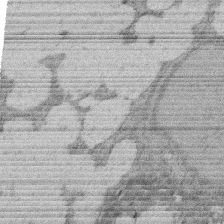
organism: Rat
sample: Salivary granule